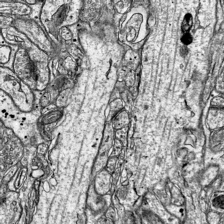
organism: Mouse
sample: Visual Cortex